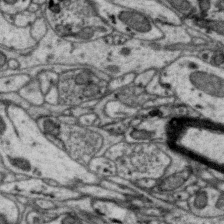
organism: Zebra finch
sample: Brain